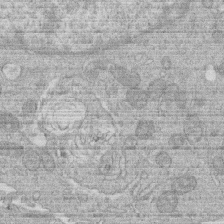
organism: Human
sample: Macrophage cells